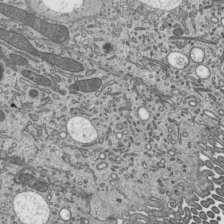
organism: Mouse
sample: Mouse epididymis efferent ductule cilia